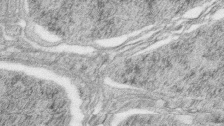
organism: Zebrafish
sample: synaptic ribbons in rod cells and cone cells